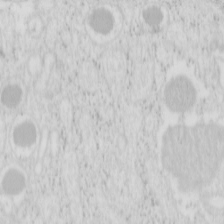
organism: Mouse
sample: Pancreas